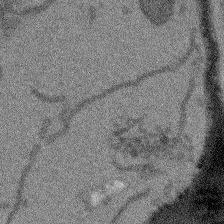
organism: Arabidopsis thaliana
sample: Root tip